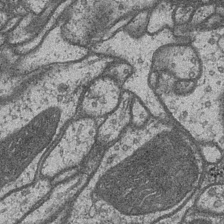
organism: Drosophila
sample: Optic medulla